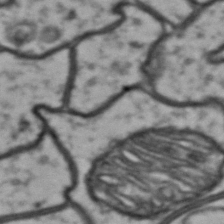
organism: Drosophila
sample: Brain